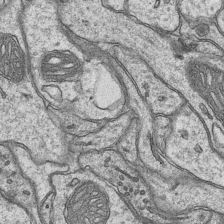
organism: Mouse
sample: CA1 Hippocampus